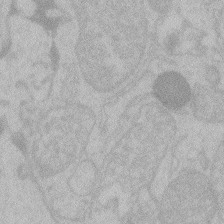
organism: Zebrafish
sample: Macrophage infected with Toxoplasma gondii